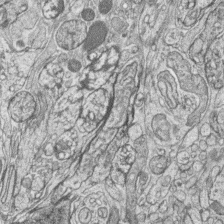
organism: Zebrafish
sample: synaptic ribbons in rod cells and cone cells